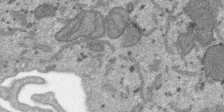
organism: Human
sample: Lung epithelial cells infected with SARS-CoV-2